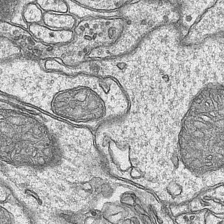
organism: Mouse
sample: CA1 Hippocampus